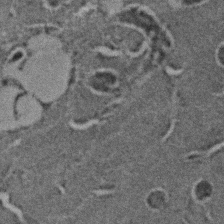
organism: C. elegans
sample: C. elegans embryo